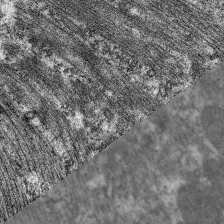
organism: C. elegans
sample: Pharynx